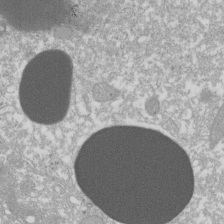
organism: Xenopus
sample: Cilia; centrioles in frog embryo cells